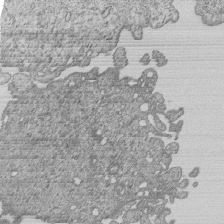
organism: Human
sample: MDA-MB-231 cells